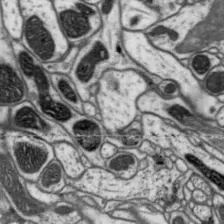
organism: Drosophila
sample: Protocerebral bridge